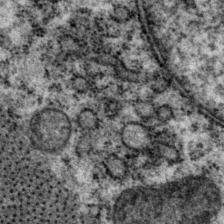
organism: P. pacificus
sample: Pharynx